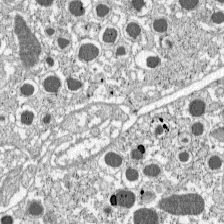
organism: C57BL Mouse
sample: Pancreatic islet